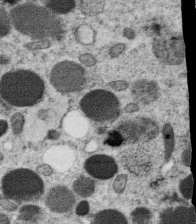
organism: C. elegans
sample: C. elegans oocyte; sperm cells